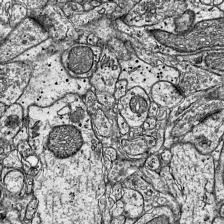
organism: Mouse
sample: Visual Cortex